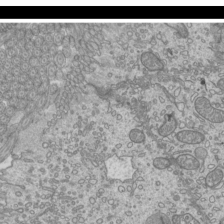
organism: Mouse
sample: Cilia; mouse epididymis